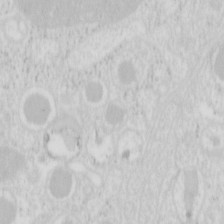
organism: Mouse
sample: Pancreas